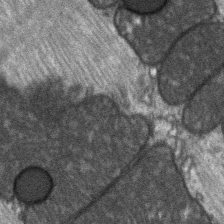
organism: C57BL Mouse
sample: Soleus